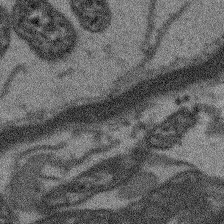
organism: Arabidopsis thaliana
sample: Root tip